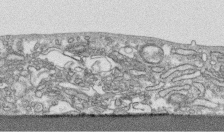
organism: Human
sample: CRL-1474